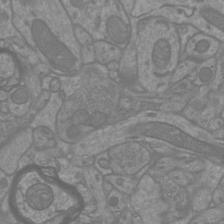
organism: Mouse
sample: Cortical neurons